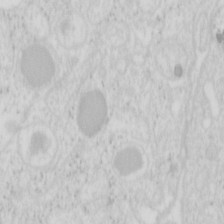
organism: Mouse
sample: Pancreas